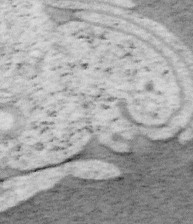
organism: Mouse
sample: OT-I killer T cells with ID8 ovarian cancer cells